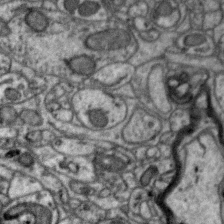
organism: Zebra finch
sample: Brain